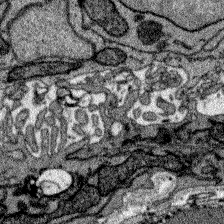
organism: Zebrafish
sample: Larval olfactory bulb